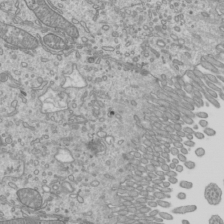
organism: Mouse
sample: Cilia; mouse epididymis